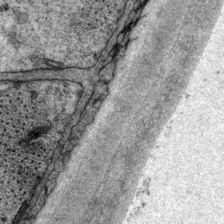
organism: P. pacificus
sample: Pharynx